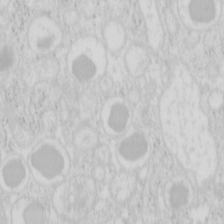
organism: Mouse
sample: Pancreas